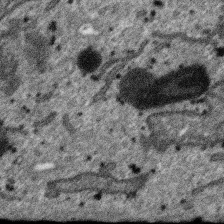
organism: Human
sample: Lung epithelial cells infected with SARS-CoV-2